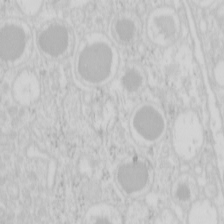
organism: Mouse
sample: Pancreas